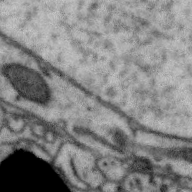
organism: Zebra finch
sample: Brain